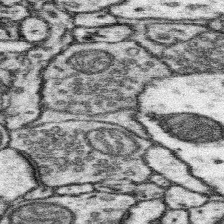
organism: Mouse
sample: Somatosensory cortex neuropil